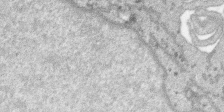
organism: Human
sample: Lung epithelial cells infected with SARS-CoV-2